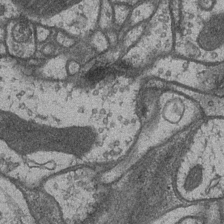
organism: Drosophila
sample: Optic medulla